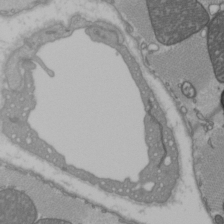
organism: C57BL Mouse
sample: Heart